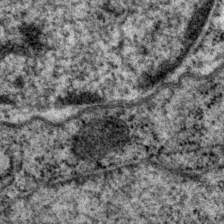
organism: P. pacificus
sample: Pharynx